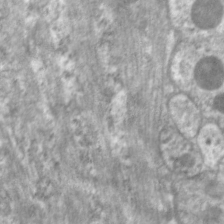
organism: C. elegans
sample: Pharynx